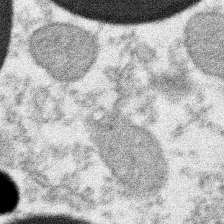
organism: Xenopus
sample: Cilia; centrioles in frog embryo cells